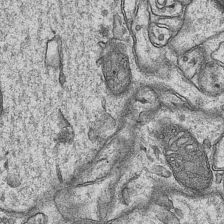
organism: Mouse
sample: CA1 Hippocampus